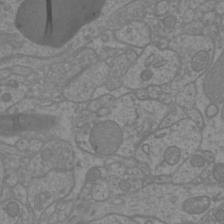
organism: Mouse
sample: Cortical neurons